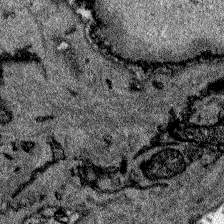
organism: Zebrafish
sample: Larval olfactory bulb